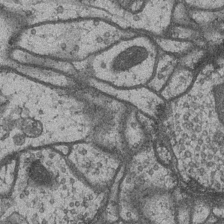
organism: Drosophila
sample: Optic medulla